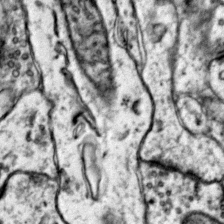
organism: Mouse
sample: Primary visual cortex